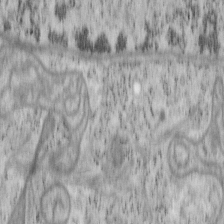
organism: Human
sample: HeLa cells